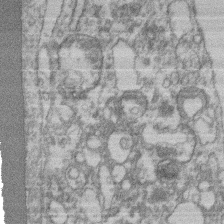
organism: Mouse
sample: T cell stromal cell synapse